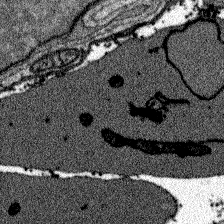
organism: Zebrafish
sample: Larval olfactory bulb